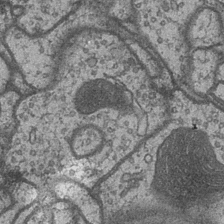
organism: Drosophila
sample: Optic medulla